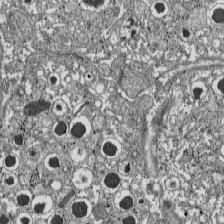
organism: C57BL Mouse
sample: Pancreatic islet